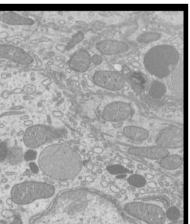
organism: Mouse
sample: Cilia; mouse epididymis